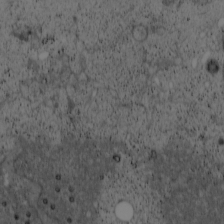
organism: African green monkey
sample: COS-7 cells